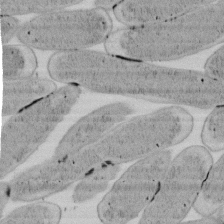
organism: E. coli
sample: Bacterial nucleoid